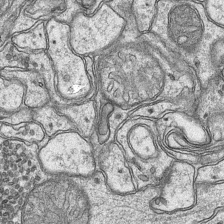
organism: Mouse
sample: CA1 Hippocampus